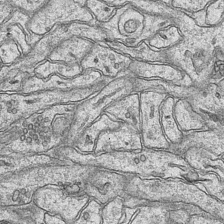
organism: Mouse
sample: CA1 Hippocampus